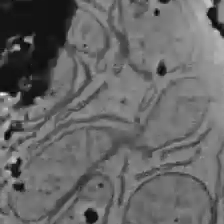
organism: C57BL Mouse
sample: Liver